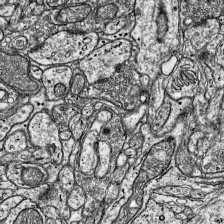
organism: Mouse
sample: Visual Cortex